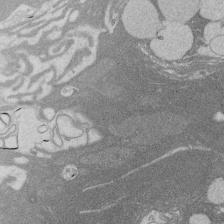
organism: Rat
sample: Salivary granule